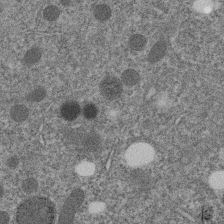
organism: C. elegans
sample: C. elegans embryo early stage